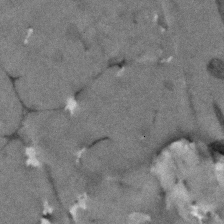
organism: Human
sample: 1205lu cells